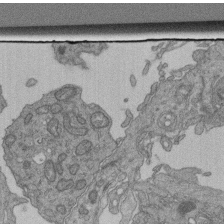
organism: Human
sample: Retinal organoid Rod and Cone cells